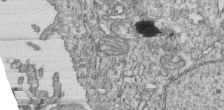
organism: Human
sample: HeLa cell HIV synapse